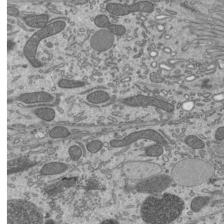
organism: Mouse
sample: Mouse epididymis efferent ductule cilia